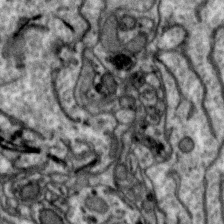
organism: Zebra finch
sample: Brain